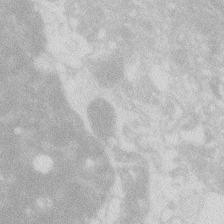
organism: Zebrafish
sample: Macrophage